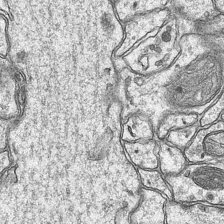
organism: Mouse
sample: CA1 Hippocampus